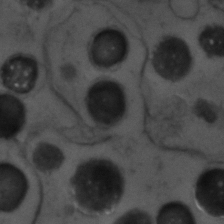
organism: Zebrafish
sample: Zebrafish embryo